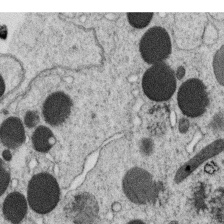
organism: C. elegans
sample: C. elegans oocyte; sperm cells